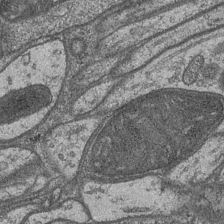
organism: Drosophila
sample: Optic medulla